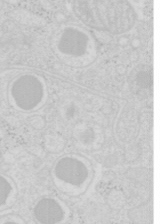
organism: Mouse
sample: Pancreas